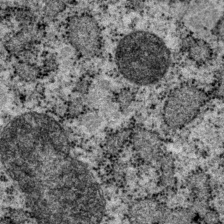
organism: P. pacificus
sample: Pharynx